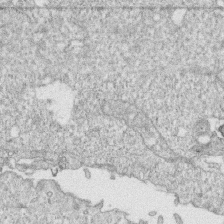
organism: Human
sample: HeLa cell HIV synapse